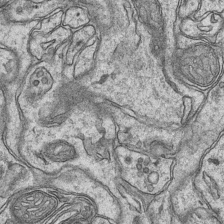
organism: Mouse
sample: CA1 Hippocampus